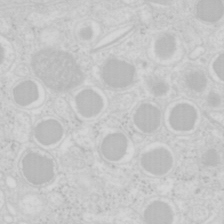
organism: Mouse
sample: Pancreas